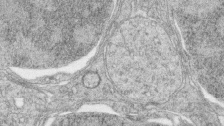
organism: Zebrafish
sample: synaptic ribbons in rod cells and cone cells